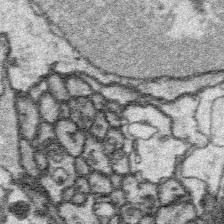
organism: Platynereis dumerilii